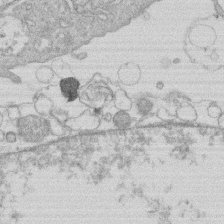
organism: Human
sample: Macrophage cells